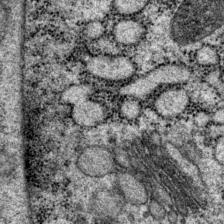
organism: P. pacificus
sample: Pharynx